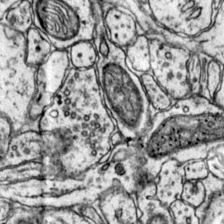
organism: Mouse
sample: Primary visual cortex